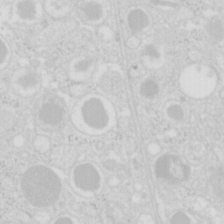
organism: Mouse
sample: Pancreas